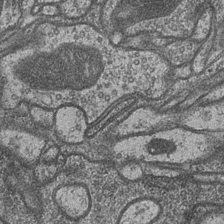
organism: Drosophila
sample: Optic medulla